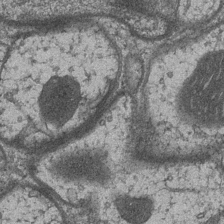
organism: Drosophila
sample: Optic medulla